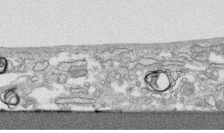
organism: Human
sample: CRL-1474